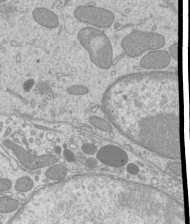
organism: Mouse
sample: Cilia; mouse epididymis